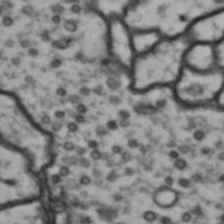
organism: Drosophila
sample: Brain